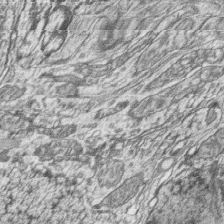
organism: Zebrafish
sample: synaptic ribbons in rod cells and cone cells